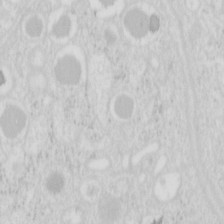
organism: Mouse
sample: Pancreas